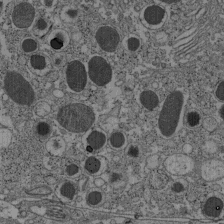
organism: C57BL Mouse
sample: Pancreatic islet